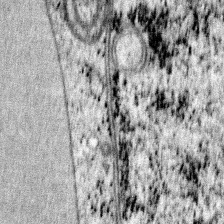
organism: Human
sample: HeLa cells